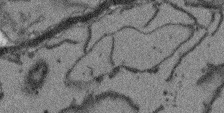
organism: Arabidopsis thaliana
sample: Root tip